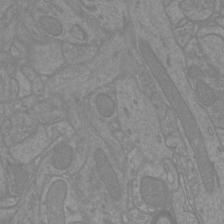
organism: Mouse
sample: Cortical neurons